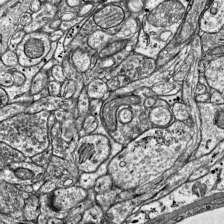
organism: Mouse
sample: Visual Cortex